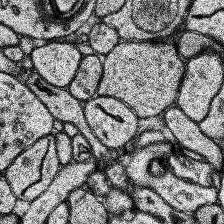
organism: Human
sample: Temporal Lobe